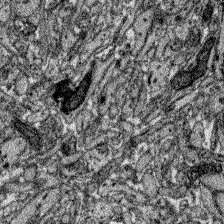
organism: Zebrafish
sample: Larval olfactory bulb